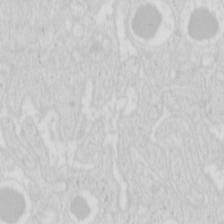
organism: Mouse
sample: Pancreas